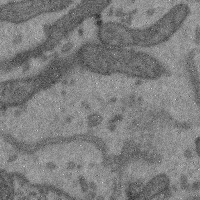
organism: Mouse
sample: Cerebral cortex